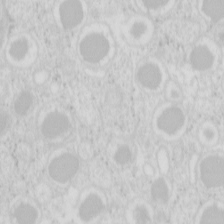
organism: Mouse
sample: Pancreas